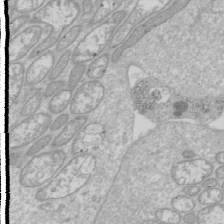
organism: Drosophila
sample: Cell division; meiosis; drosophila spermatocytes